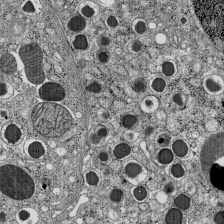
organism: C57BL Mouse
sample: Pancreatic islet